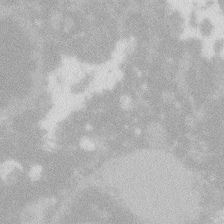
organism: Zebrafish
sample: Macrophage